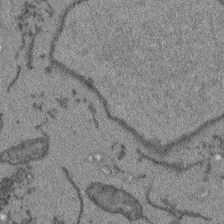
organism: Arabidopsis thaliana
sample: Root tip